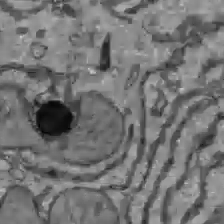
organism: C57BL Mouse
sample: Liver